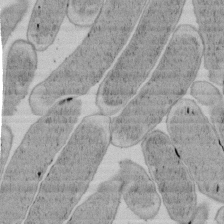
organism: E. coli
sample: Bacterial nucleoid